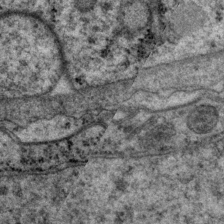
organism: P. pacificus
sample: Pharynx